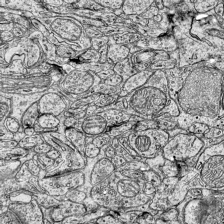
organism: Mouse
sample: Visual Cortex